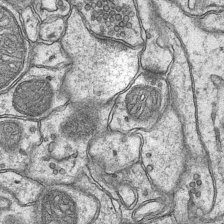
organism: Mouse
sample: CA1 Hippocampus